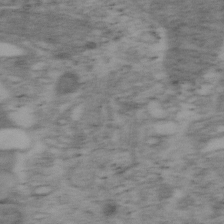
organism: Mouse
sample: OT-I killer T cells with ID8 ovarian cancer cells